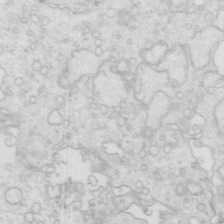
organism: Mouse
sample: Multiciliated cells